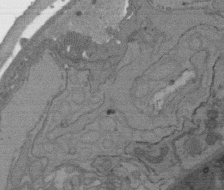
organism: C. elegans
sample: AFD neurons C. elegans